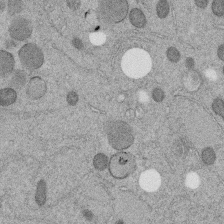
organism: C. elegans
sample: C. elegans embryo early stage